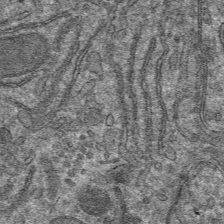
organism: Mouse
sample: Mouse hepatocytes